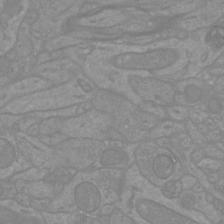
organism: Mouse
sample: Cortical neurons